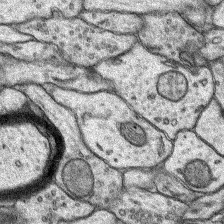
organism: Rat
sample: Hippocampus